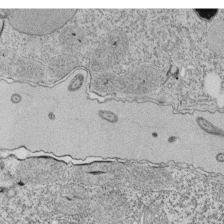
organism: Tetrahymena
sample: Cilia in tetrahymena